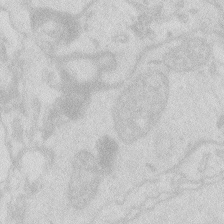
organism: Zebrafish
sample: Macrophage